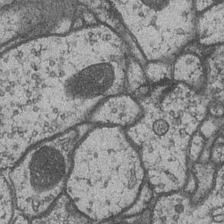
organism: Drosophila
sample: Optic medulla